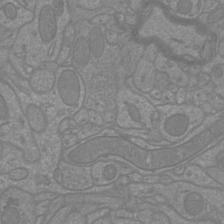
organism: Mouse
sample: Cortical neurons